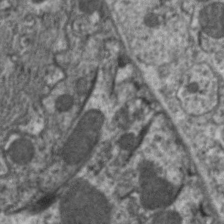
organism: C. elegans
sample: Pharynx